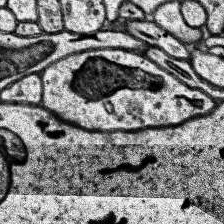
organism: Human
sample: Temporal Lobe